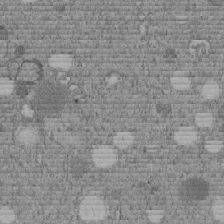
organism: C. elegans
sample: C. elegans embryo early stage